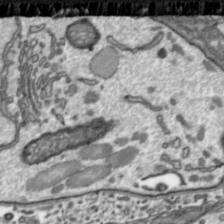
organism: Toxoplasma gondii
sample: Parasites in a vacuole inside a host cell